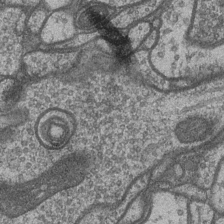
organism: Drosophila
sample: Optic medulla